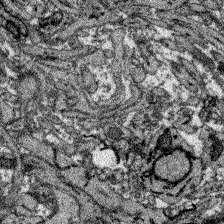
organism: Zebrafish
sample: Larval olfactory bulb